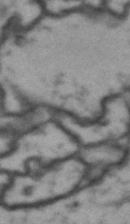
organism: Drosophila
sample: Brain